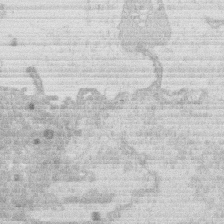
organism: Human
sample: Macrophage cells